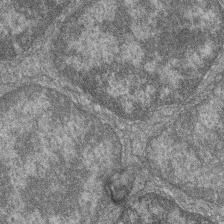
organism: Zebrafish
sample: Cilia; retinal pigment epithelium